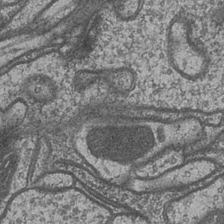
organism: Drosophila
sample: Optic medulla